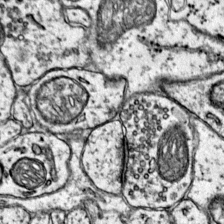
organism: Mouse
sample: Primary visual cortex